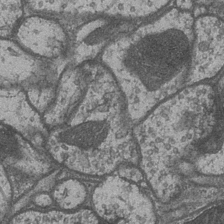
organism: Drosophila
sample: Optic medulla